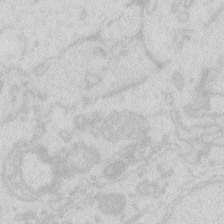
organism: Zebrafish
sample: Macrophage